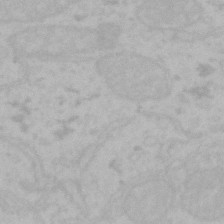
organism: Mouse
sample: Choroid plexus